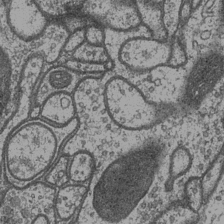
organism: Drosophila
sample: Optic medulla